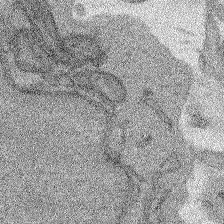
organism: Human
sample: HeLa cells